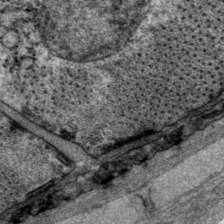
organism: P. pacificus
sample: Pharynx